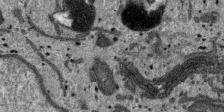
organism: Human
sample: Lung epithelial cells, uninfected (mock) control